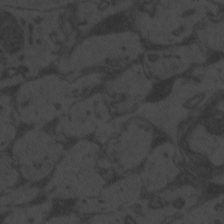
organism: Zebrafish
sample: Macrophage infected with Toxoplasma gondii